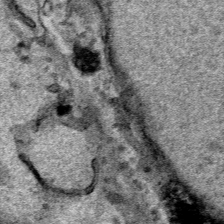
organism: Human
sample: Mitochondria in HCT116 cells